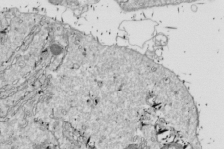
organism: Drosophila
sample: Cell division; meiosis; drosophila spermatocytes